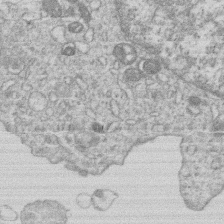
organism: Human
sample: Macrophage cells